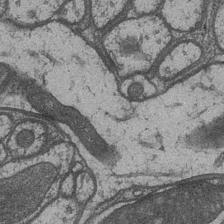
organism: Drosophila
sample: Optic medulla